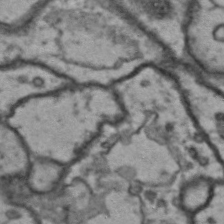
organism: Drosophila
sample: Brain